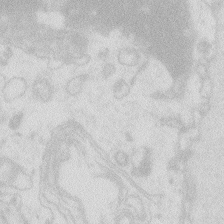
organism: Zebrafish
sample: Macrophage